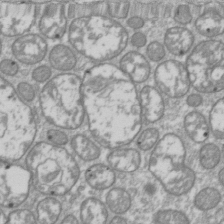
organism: Drosophila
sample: Cell division; meiosis; drosophila spermatocytes